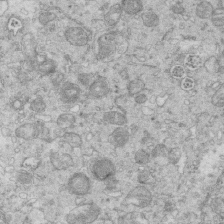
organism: Mouse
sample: Multiciliated cells